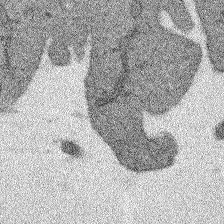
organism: Human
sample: HeLa cells